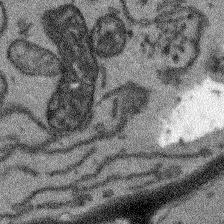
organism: Arabidopsis thaliana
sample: Root tip